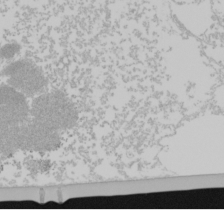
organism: Mouse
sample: Cancer cell death in ED-1 cells